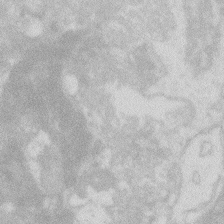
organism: Zebrafish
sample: Macrophage